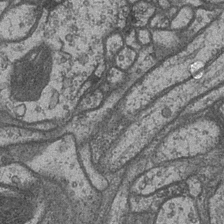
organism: Drosophila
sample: Optic medulla